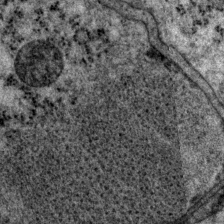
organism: P. pacificus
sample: Pharynx